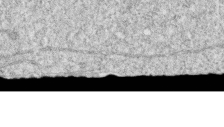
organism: Human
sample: HeLa cell HIV synapse